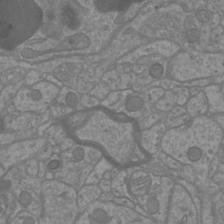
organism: Mouse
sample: Cortical neurons